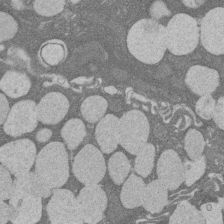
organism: Rat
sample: Salivary granule